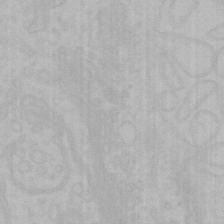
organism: Mouse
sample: Choroid plexus